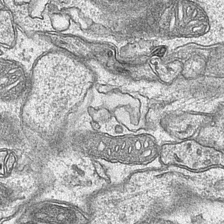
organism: Mouse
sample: CA1 Hippocampus